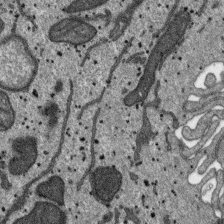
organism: Human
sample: Lung epithelial cells, uninfected (mock) control